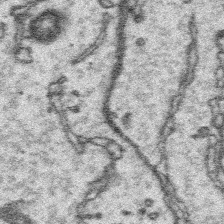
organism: Platynereis dumerilii